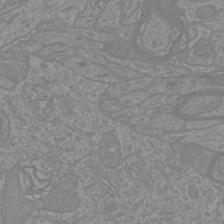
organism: Mouse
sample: Cortical neurons